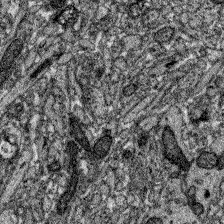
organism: Zebrafish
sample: Larval olfactory bulb